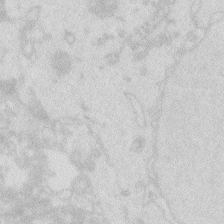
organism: Zebrafish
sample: Macrophage